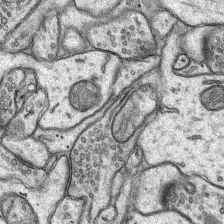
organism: Rat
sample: Hippocampus